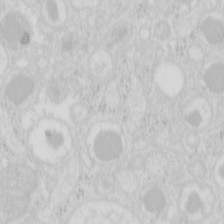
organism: Mouse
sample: Pancreas